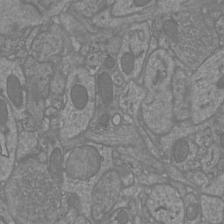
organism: Mouse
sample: Cortical neurons